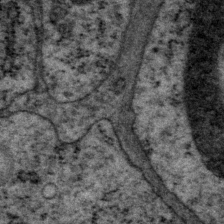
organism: P. pacificus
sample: Pharynx